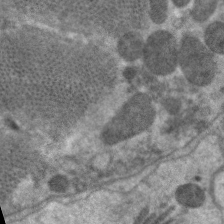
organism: C. elegans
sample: Pharynx